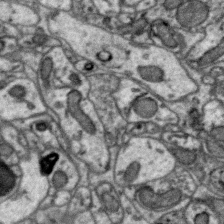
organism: Zebra finch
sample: Brain